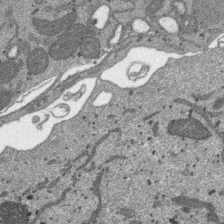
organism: Human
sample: Lung epithelial cells infected with SARS-CoV-2